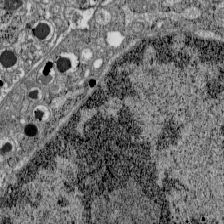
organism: C57BL Mouse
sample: Pancreatic islet